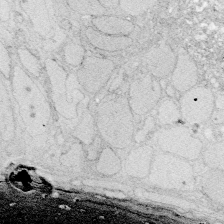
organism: Zebrafish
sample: Whole-Brain